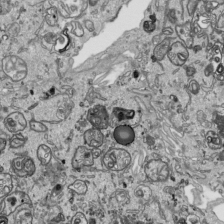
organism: Human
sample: Mitochondria in HCT116 cells